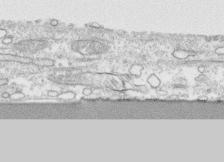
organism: Human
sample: CRL-1474